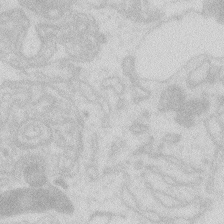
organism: Zebrafish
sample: Macrophage